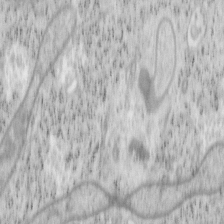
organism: Human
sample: HeLa cells